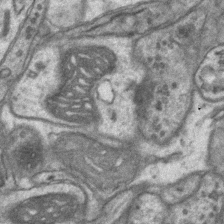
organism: Mouse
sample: CA1 Hippocampus